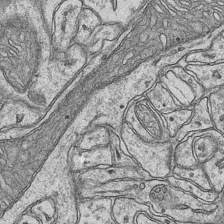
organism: Mouse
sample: CA1 Hippocampus